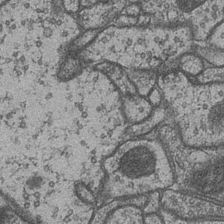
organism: Drosophila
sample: Optic medulla